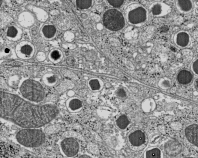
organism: C57BL Mouse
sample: Pancreatic islet